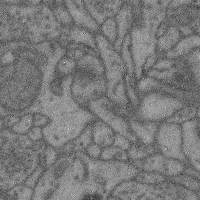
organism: Mouse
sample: Cerebral cortex